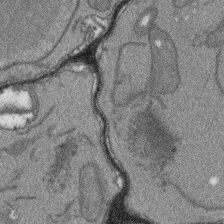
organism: Arabidopsis thaliana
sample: Root tip